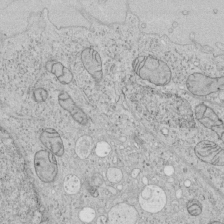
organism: Human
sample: Mitochondria in HCT116 cells